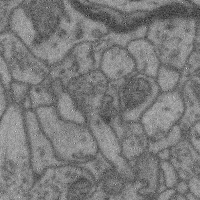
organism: Mouse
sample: Cerebral cortex